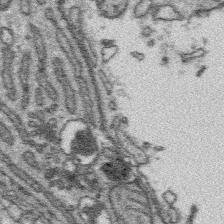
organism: Platynereis dumerilii